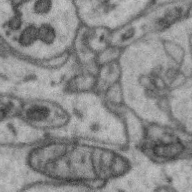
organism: Zebra finch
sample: Brain